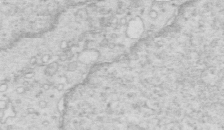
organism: Mouse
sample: Multiciliated cells